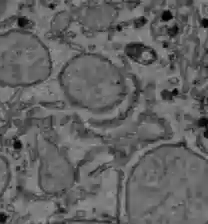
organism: C57BL Mouse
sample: Liver